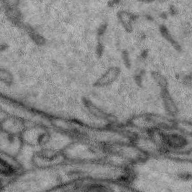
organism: Zebra finch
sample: Brain